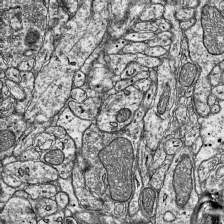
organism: Mouse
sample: Visual Cortex